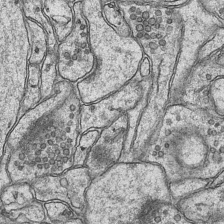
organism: Mouse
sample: CA1 Hippocampus